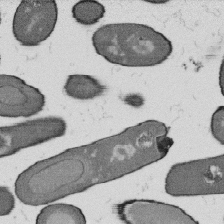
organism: B. subtilis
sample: Bacterial spore